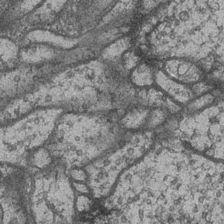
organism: Drosophila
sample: Optic medulla